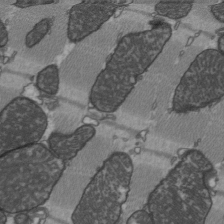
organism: C57BL Mouse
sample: Heart